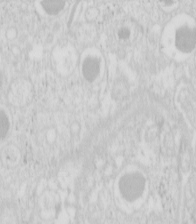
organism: Mouse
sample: Pancreas